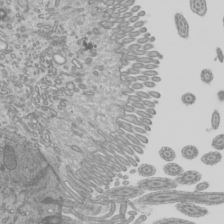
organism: Mouse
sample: Cilia; mouse epididymis